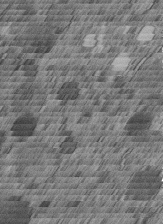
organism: C. elegans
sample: C. elegans embryo early stage